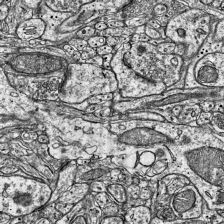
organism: Mouse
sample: Visual Cortex